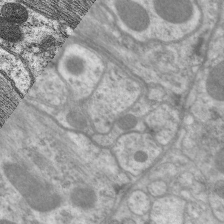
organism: C. elegans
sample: Pharynx